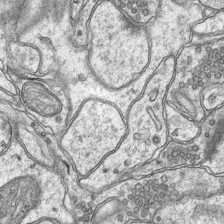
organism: Mouse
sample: CA1 Hippocampus